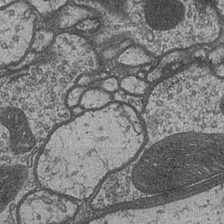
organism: Drosophila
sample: Optic medulla